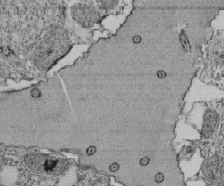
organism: Tetrahymena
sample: Cilia in tetrahymena